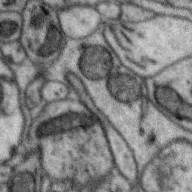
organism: Zebra finch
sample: Brain